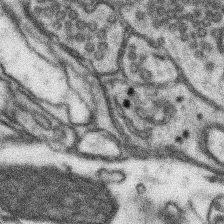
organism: Mouse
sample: Somatosensory cortex neuropil